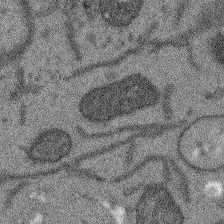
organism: Arabidopsis thaliana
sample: Root tip